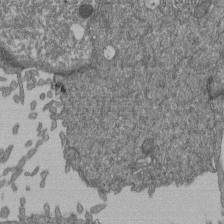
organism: Human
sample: Retinal organoid Rod and Cone cells